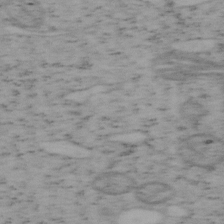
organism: Mouse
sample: OT-I killer T cells with ID8 ovarian cancer cells